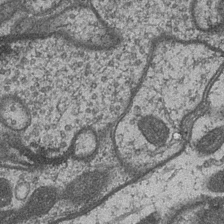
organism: Drosophila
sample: Optic medulla